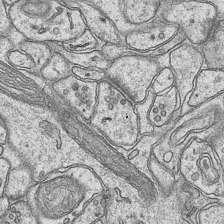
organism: Mouse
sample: CA1 Hippocampus